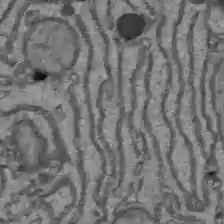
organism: C57BL Mouse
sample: Liver